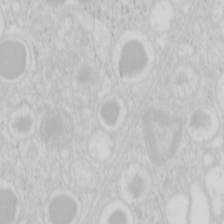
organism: Mouse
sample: Pancreas